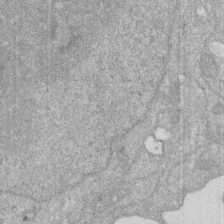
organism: Human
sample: HIV infected U937 cells